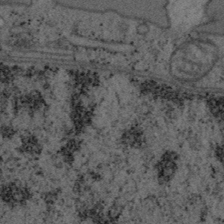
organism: Human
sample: HeLa cells